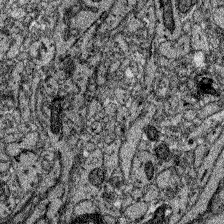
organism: Zebrafish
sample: Larval olfactory bulb